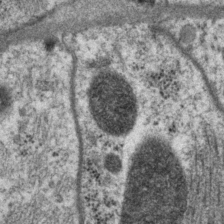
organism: P. pacificus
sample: Pharynx